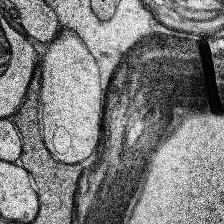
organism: Human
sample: Temporal Lobe